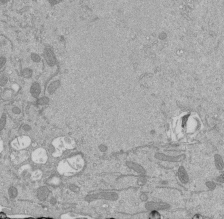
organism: Mouse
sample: ED-1 cell nuclei; centrioles